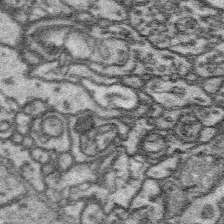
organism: Platynereis dumerilii